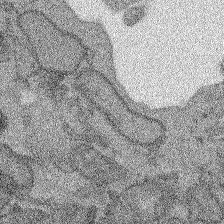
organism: Human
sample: HeLa cells